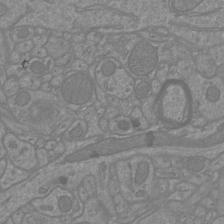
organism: Mouse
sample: Cortical neurons